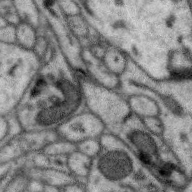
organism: Zebra finch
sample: Brain